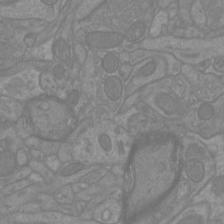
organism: Mouse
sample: Cortical neurons